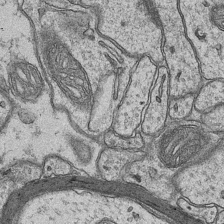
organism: Mouse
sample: CA1 Hippocampus